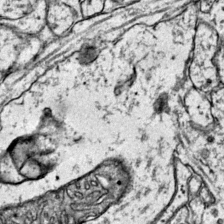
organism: Mouse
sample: Primary visual cortex